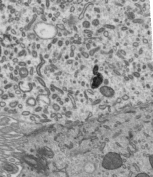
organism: Mouse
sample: Mouse epididymis efferent ductule cilia